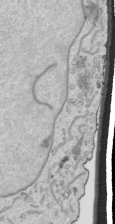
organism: Human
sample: Mitochondria in HCT116 cells